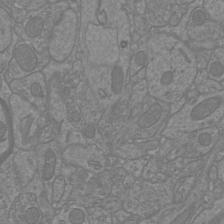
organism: Mouse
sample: Cortical neurons